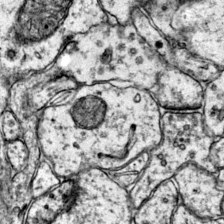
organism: Mouse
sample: Primary visual cortex